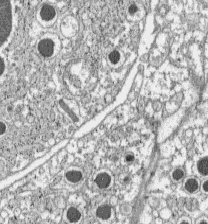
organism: C57BL Mouse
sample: Pancreatic islet